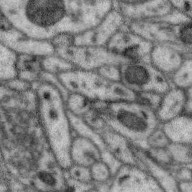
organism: Zebra finch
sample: Brain